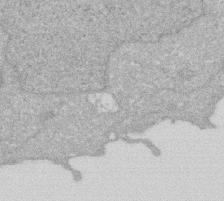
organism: Human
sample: HIV infected U937 cells